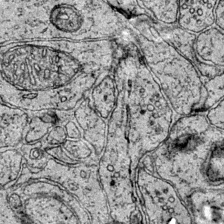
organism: Mouse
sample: Primary visual cortex